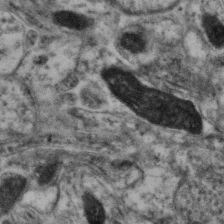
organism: Mouse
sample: Neocortex